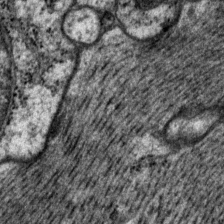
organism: P. pacificus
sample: Pharynx